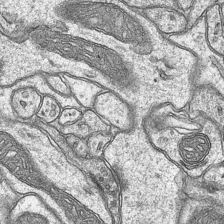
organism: Mouse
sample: CA1 Hippocampus